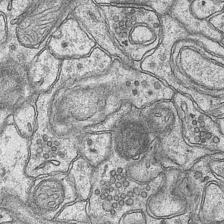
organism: Mouse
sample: CA1 Hippocampus